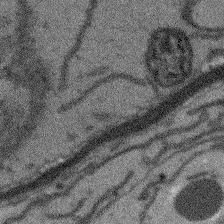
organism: Arabidopsis thaliana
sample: Root tip